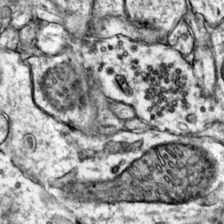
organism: Mouse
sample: Primary visual cortex